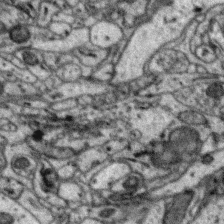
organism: Zebra finch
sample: Brain